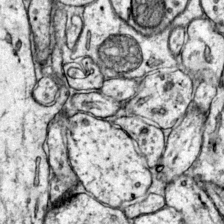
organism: Mouse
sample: Primary visual cortex